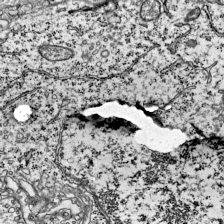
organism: Mouse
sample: Visual Cortex